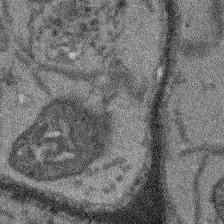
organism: Arabidopsis thaliana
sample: Root tip